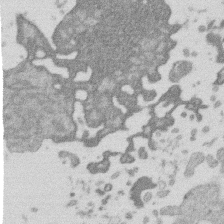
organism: Mouse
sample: Dividing mouse embryo 1 cell stage